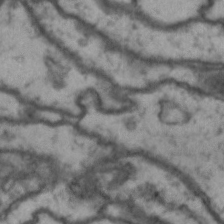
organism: Drosophila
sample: Brain